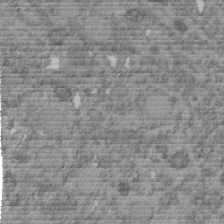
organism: C. elegans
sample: C. elegans embryo early stage